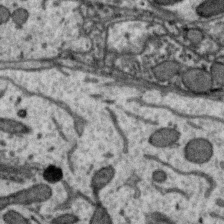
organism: Zebra finch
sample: Brain